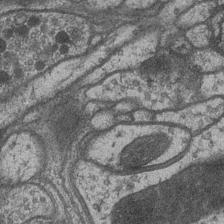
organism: Drosophila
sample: Optic medulla